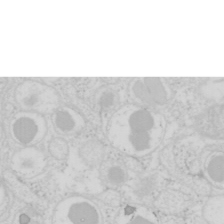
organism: Mouse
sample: Pancreas